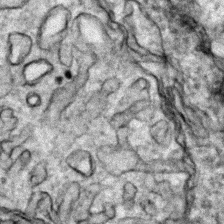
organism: Zebrafish